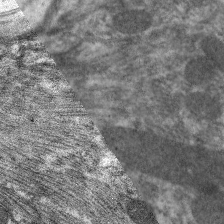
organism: C. elegans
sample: Pharynx